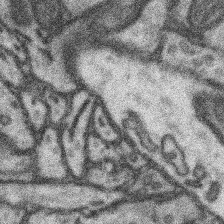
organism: Mouse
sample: Somatosensory cortex neuropil